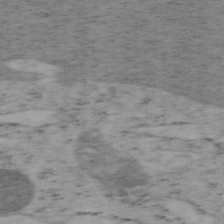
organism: Mouse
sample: OT-I killer T cells with ID8 ovarian cancer cells